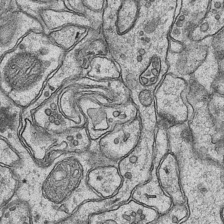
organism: Mouse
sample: CA1 Hippocampus